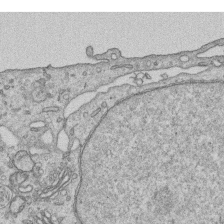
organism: Human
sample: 1205lu cells